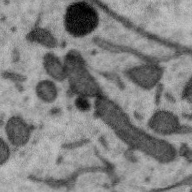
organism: Zebra finch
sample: Brain